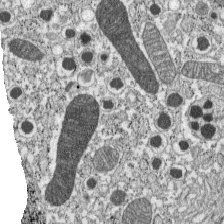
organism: C57BL Mouse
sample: Pancreatic islet